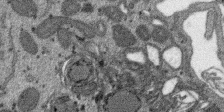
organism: Human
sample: Lung epithelial cells infected with SARS-CoV-2